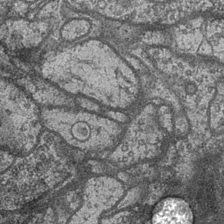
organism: Drosophila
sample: Optic medulla